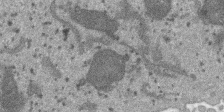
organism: Human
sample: Lung epithelial cells infected with SARS-CoV-2